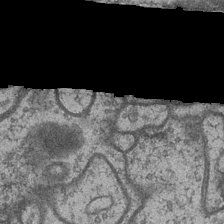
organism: Drosophila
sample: Optic medulla